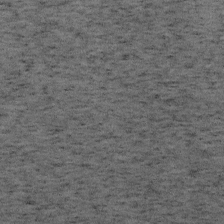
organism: Mouse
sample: OT-I killer T cells with ID8 ovarian cancer cells